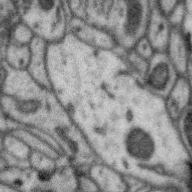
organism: Zebra finch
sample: Brain